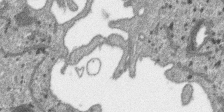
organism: Human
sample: Lung epithelial cells infected with SARS-CoV-2